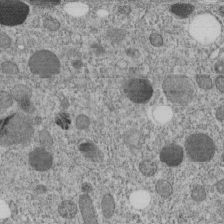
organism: C. elegans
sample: C. elegans embryo early stage